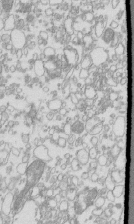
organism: Mouse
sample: Macrophages